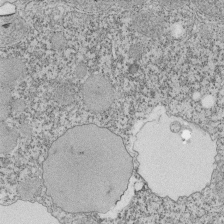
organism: Tetrahymena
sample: Cilia in tetrahymena